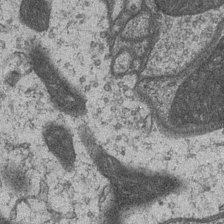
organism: Drosophila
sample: Optic medulla